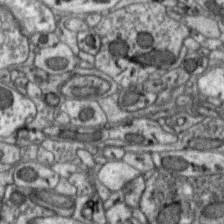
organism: Zebra finch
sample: Brain